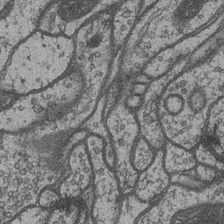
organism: Drosophila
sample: Optic medulla